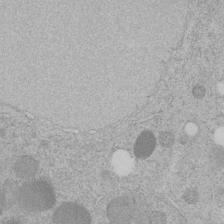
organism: C. elegans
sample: C. elegans embryo early stage